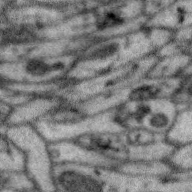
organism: Zebra finch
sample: Brain